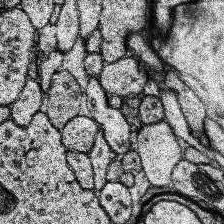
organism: Human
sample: Temporal Lobe